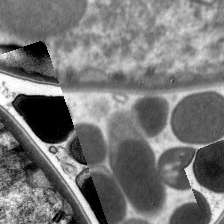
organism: C. elegans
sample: Pharynx